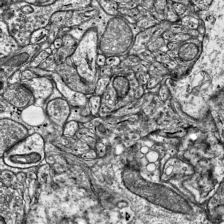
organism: Mouse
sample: Visual Cortex